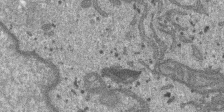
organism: Human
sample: Lung epithelial cells infected with SARS-CoV-2